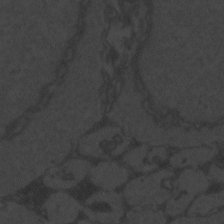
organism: Zebrafish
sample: Macrophage infected with Toxoplasma gondii